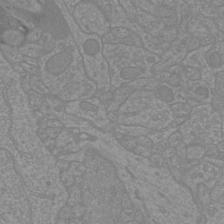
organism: Mouse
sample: Cortical neurons